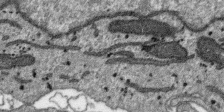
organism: Human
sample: Lung epithelial cells, uninfected (mock) control